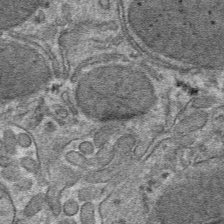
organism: Mouse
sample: Mouse hepatocytes